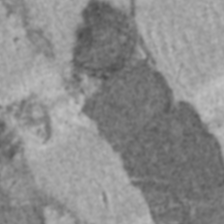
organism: C57BL Mouse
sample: Heart